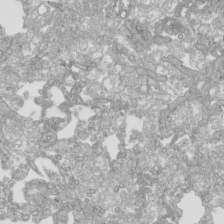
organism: Human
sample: Mitochondria in HCT116 cells